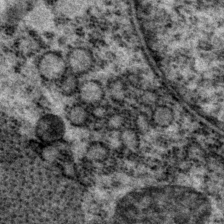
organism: P. pacificus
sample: Pharynx